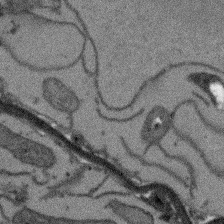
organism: Arabidopsis thaliana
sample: Root tip